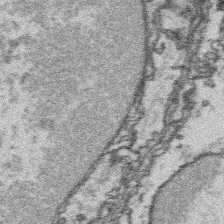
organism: Platynereis dumerilii